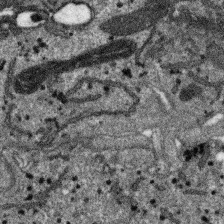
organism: Human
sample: Lung epithelial cells infected with SARS-CoV-2